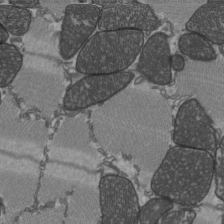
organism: C57BL Mouse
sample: Heart